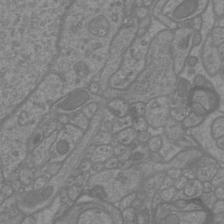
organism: Mouse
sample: Cortical neurons